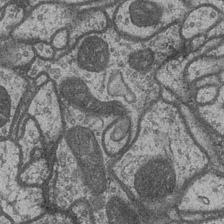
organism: Drosophila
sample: Optic medulla